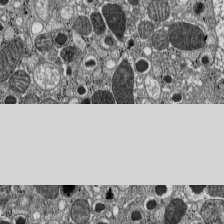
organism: C57BL Mouse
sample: Pancreatic islet